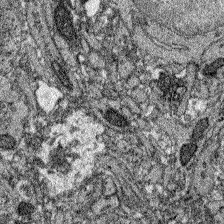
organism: Zebrafish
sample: Larval olfactory bulb